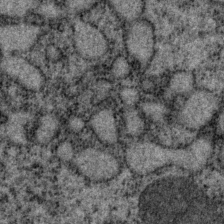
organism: P. pacificus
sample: Pharynx